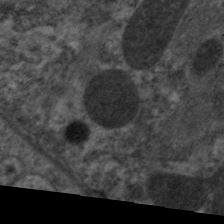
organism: C. elegans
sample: Pharynx